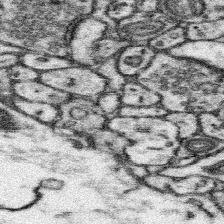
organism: Mouse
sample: Somatosensory cortex neuropil